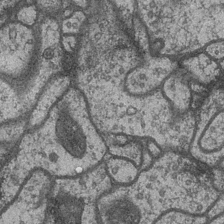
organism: Drosophila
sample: Optic medulla